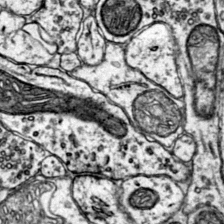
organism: Mouse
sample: Primary visual cortex